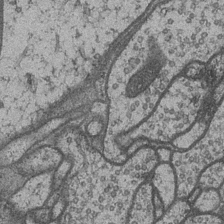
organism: Drosophila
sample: Optic medulla